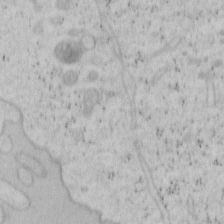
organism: Human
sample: HeLa cells